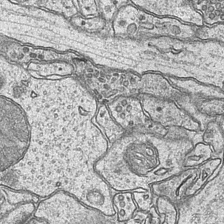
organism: Mouse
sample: CA1 Hippocampus